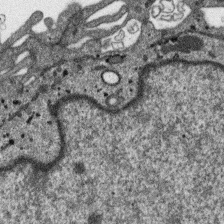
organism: Human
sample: Lung epithelial cells infected with SARS-CoV-2